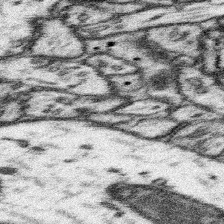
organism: Mouse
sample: Somatosensory cortex neuropil